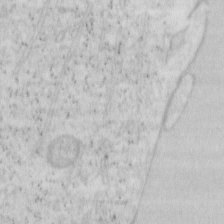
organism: Human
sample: HeLa cells